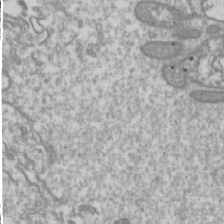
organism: Drosophila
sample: Cell division; meiosis; drosophila spermatocytes